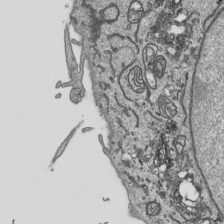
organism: Human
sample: Mitochondria in HCT116 cells